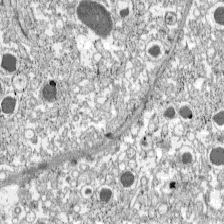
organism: C57BL Mouse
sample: Pancreatic islet